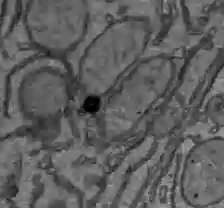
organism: C57BL Mouse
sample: Liver